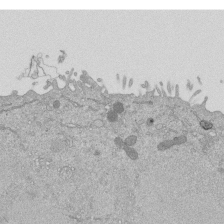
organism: Mouse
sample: ED-1 cell nuclei; centrioles